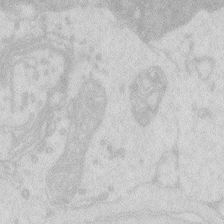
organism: Zebrafish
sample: Macrophage